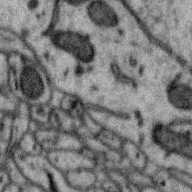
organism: Zebra finch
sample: Brain